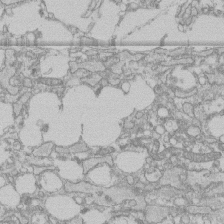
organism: Human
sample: CRL-1474